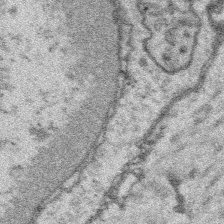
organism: Platynereis dumerilii